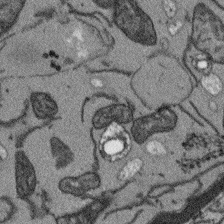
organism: Arabidopsis thaliana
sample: Root tip